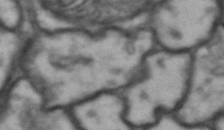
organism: Drosophila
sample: Brain